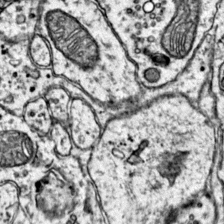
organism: Mouse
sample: Primary visual cortex